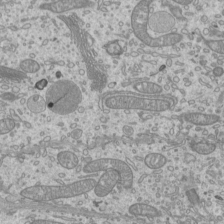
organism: Mouse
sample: Cilia; mouse epididymis